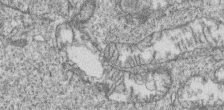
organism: Human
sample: HeLa cell HIV synapse